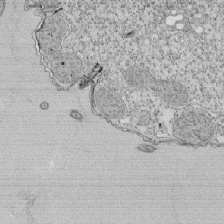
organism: Tetrahymena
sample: Cilia in tetrahymena